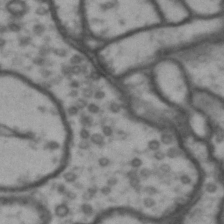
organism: Drosophila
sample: Brain